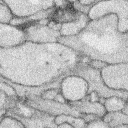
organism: Rabbit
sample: Retina